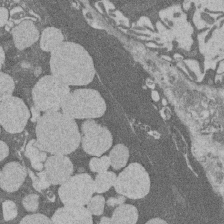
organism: Rat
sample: Salivary granule